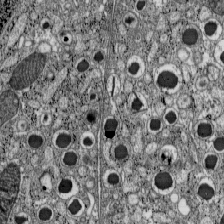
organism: C57BL Mouse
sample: Pancreatic islet